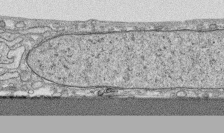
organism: Human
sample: CRL-1474